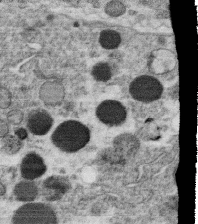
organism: C. elegans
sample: C. elegans oocyte; sperm cells